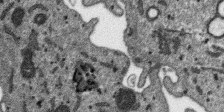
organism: Human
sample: Lung epithelial cells infected with SARS-CoV-2